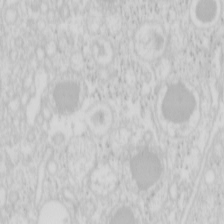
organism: Mouse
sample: Pancreas